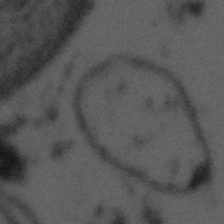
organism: Tuwongella immobilis